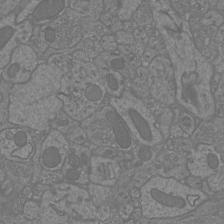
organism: Mouse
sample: Cortical neurons